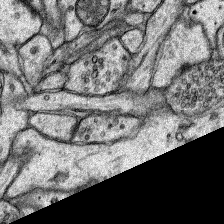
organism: Rat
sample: Hippocampus